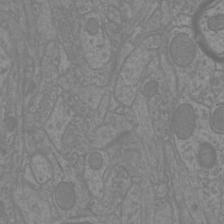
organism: Mouse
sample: Cortical neurons